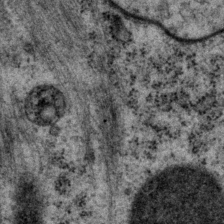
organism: P. pacificus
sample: Pharynx